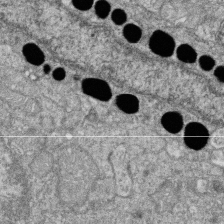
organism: Zebrafish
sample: Cilia; retinal pigment epithelium